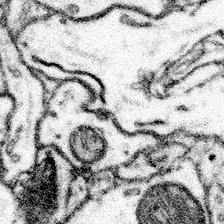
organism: Mouse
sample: Somatosensory cortex neuropil